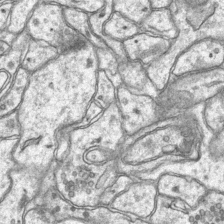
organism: Mouse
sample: CA1 Hippocampus